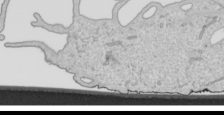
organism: Human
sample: Mitochondria in HCT116 cells